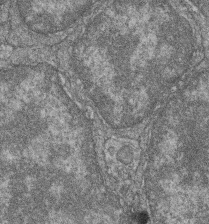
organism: Zebrafish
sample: Cilia; retinal pigment epithelium